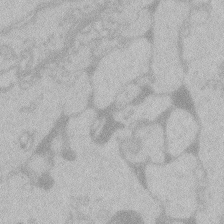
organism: Zebrafish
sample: Macrophage infected with Toxoplasma gondii